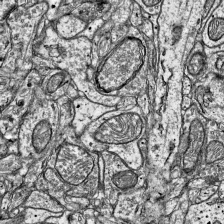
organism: Mouse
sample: Visual Cortex